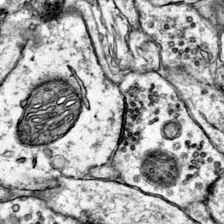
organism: Mouse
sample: Primary visual cortex